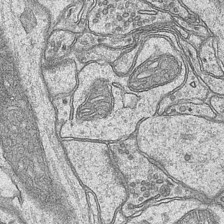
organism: Mouse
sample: CA1 Hippocampus